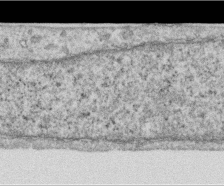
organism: Human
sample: Centriole in RPE cells